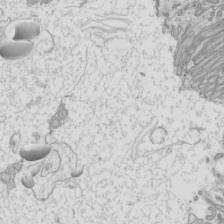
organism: Mouse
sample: Cilia; mouse epididymis